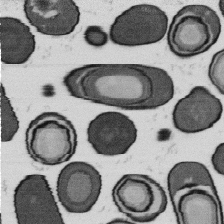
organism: B. subtilis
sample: Bacterial spore